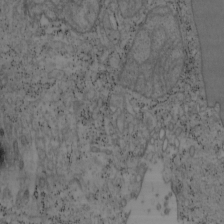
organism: Mouse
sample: OT-I killer T cells with ID8 ovarian cancer cells